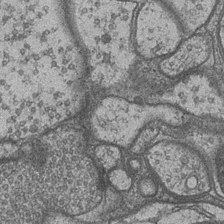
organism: Drosophila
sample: Optic medulla